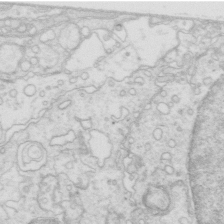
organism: Mouse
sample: Multiciliated cells